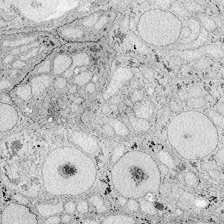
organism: Zebrafish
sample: Whole-Brain